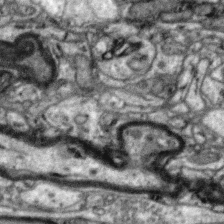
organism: Zebra finch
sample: Brain